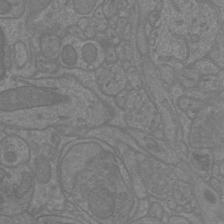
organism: Mouse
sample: Cortical neurons